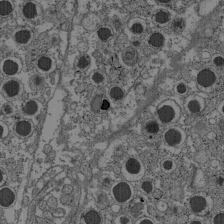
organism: C57BL Mouse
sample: Pancreatic islet